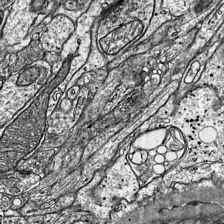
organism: Mouse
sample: Visual Cortex